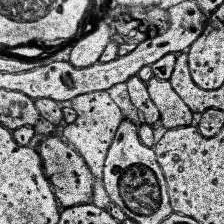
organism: Human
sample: Temporal Lobe